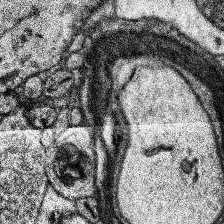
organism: Human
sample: Temporal Lobe